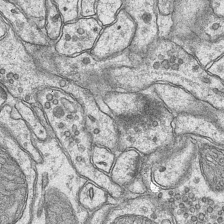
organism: Mouse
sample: CA1 Hippocampus